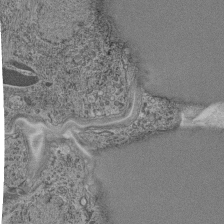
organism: C. elegans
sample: C. elegans pharynx